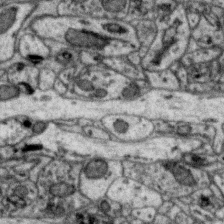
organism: Zebra finch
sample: Brain